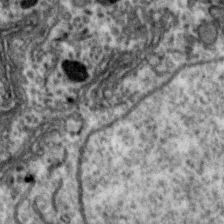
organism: Zebra finch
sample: Brain